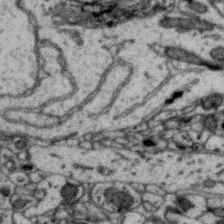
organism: Zebra finch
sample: Brain